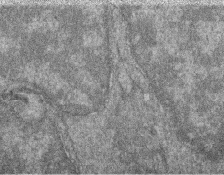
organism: Zebrafish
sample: Cilia; retinal pigment epithelium